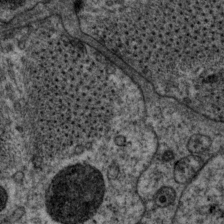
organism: P. pacificus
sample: Pharynx